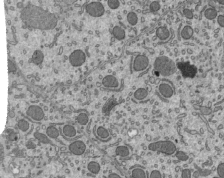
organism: Mouse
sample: Mouse epididymis efferent ductule cilia